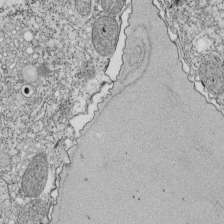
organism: Tetrahymena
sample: Cilia in tetrahymena